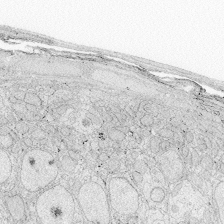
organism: Zebrafish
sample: Whole-Brain